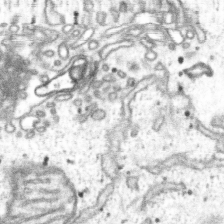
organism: Human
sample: HeLa cells